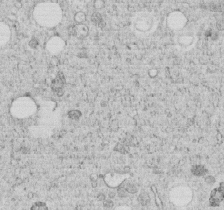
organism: C. elegans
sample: C. elegans embryo early stage